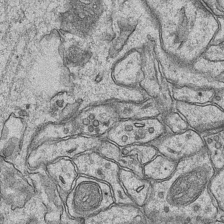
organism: Mouse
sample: CA1 Hippocampus